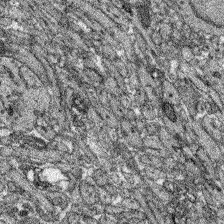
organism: Zebrafish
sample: Larval olfactory bulb